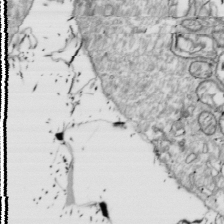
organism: Drosophila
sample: Cell division; meiosis; drosophila spermatocytes